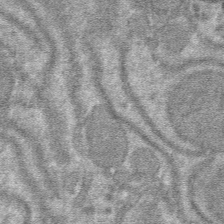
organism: Mouse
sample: Mouse hepatocytes